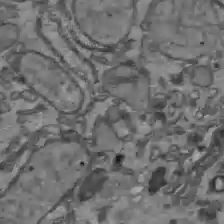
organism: C57BL Mouse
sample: Liver